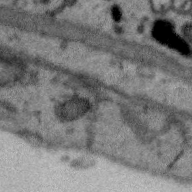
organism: Zebra finch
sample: Brain